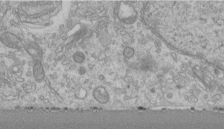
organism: Human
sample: Centriole in RPE cells